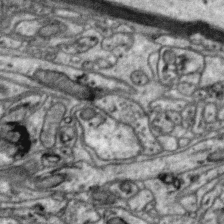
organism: Zebra finch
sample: Brain